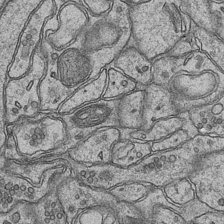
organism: Mouse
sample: CA1 Hippocampus